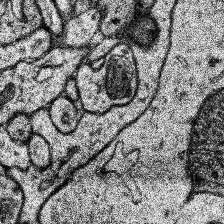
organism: Human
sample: Temporal Lobe